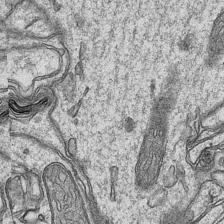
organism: Mouse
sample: CA1 Hippocampus